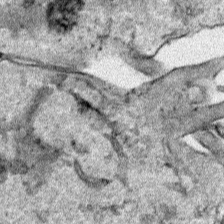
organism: Human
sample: Mitochondria in HCT116 cells